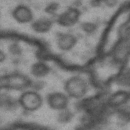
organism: Drosophila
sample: Brain